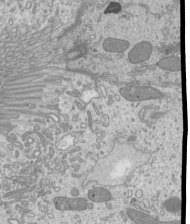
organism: Mouse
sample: Cilia; mouse epididymis